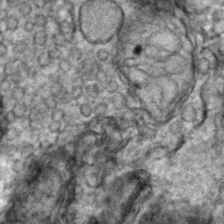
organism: Zebrafish